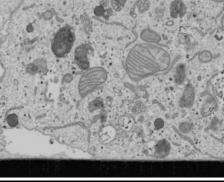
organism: Human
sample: Mitochondria in U2OS cells